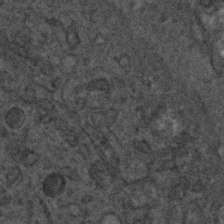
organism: C. elegans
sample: C. elegans embryo